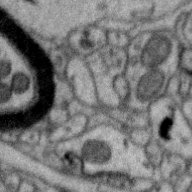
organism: Zebra finch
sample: Brain